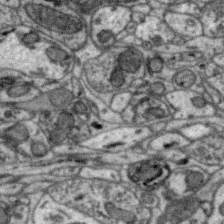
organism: Zebra finch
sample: Brain